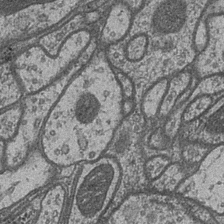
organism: Drosophila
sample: Optic medulla